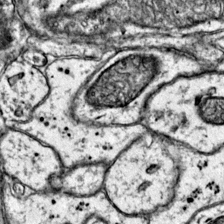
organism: Mouse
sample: Primary visual cortex